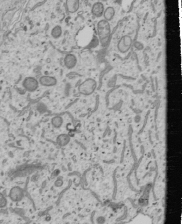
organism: Human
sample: Mitochondria in U2OS cells